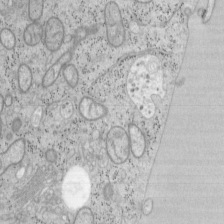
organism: Mouse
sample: OT-I killer T cells with ID8 ovarian cancer cells